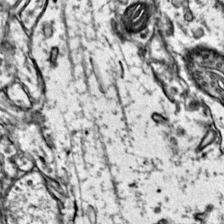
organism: Mouse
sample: Primary visual cortex